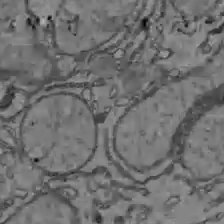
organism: C57BL Mouse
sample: Liver